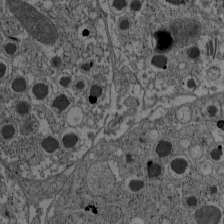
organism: C57BL Mouse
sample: Pancreatic islet